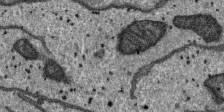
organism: Human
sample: Lung epithelial cells, uninfected (mock) control